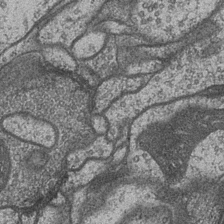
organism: Drosophila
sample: Optic medulla